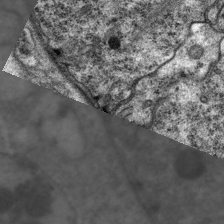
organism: C. elegans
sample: Pharynx